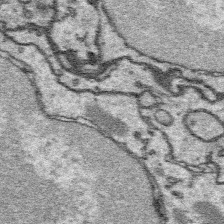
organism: Platynereis dumerilii